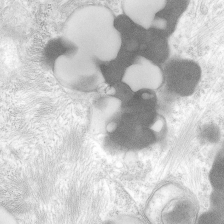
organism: Human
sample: Neocortex